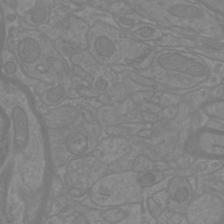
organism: Mouse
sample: Cortical neurons